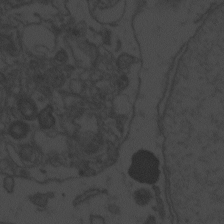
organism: Zebrafish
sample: Macrophage infected with Toxoplasma gondii